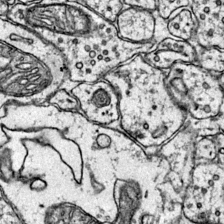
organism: Mouse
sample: Primary visual cortex